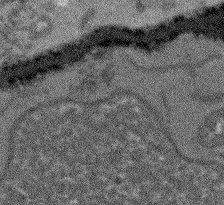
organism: Arabidopsis thaliana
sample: Root tip